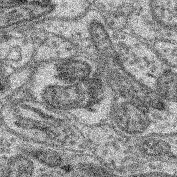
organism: Mouse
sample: Retina